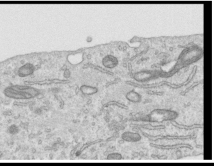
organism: Human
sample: Centriole in RPE cells